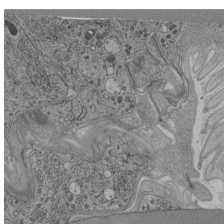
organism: C. elegans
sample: C. elegans pharynx